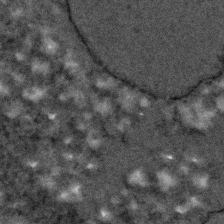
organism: C. elegans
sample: C. elegans embryo